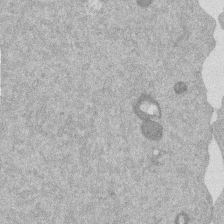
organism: Mouse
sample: Dividing mouse embryo 1 cell stage